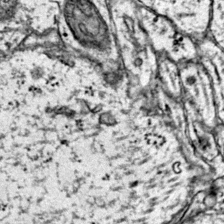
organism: Mouse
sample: Primary visual cortex